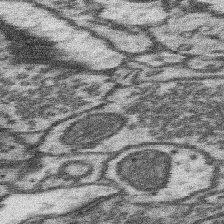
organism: Mouse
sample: Somatosensory cortex neuropil